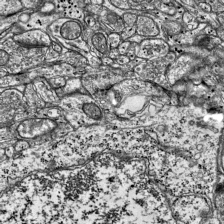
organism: Mouse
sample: Visual Cortex